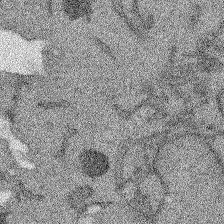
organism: Human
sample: HeLa cells